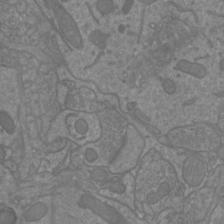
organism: Mouse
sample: Cortical neurons